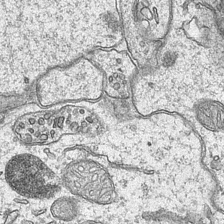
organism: Mouse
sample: CA1 Hippocampus